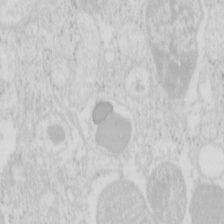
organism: Mouse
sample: Pancreas